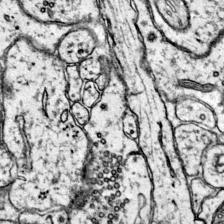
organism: Mouse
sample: Primary visual cortex